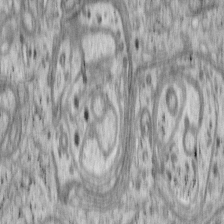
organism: Human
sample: HeLa cells